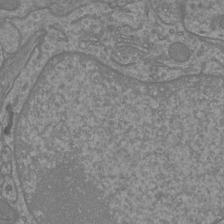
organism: Mouse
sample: Cortical neurons